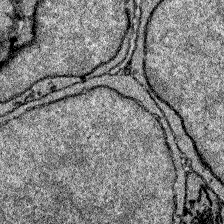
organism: Zebrafish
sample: Larval olfactory bulb